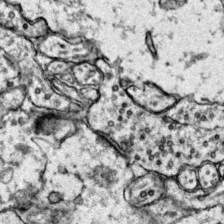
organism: Mouse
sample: Primary visual cortex